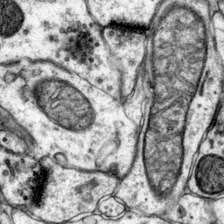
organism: Mouse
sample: Primary visual cortex